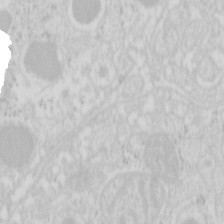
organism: Mouse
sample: Pancreas